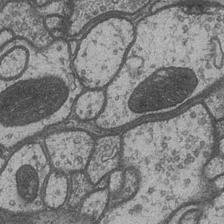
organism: Drosophila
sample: Optic medulla